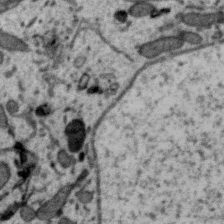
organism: Zebra finch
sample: Brain